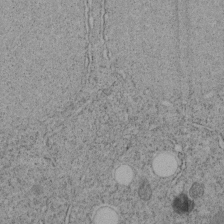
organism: C. elegans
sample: C. elegans embryo early stage